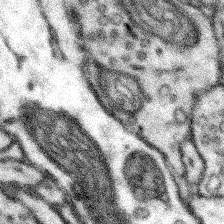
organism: Mouse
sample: Somatosensory cortex neuropil